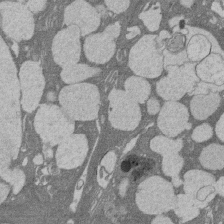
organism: Rat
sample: Salivary granule